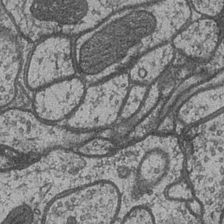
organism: Drosophila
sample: Optic medulla